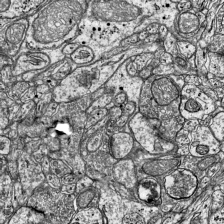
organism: Mouse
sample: Visual Cortex